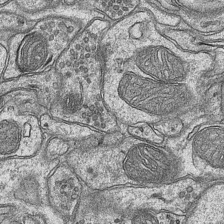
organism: Mouse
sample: CA1 Hippocampus